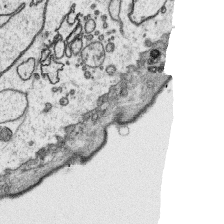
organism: Platynereis dumerilii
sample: Parapodia